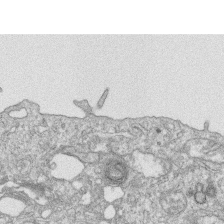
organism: Human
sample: HeLa cell HIV synapse